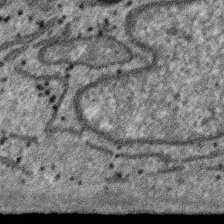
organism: Human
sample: Lung epithelial cells infected with SARS-CoV-2